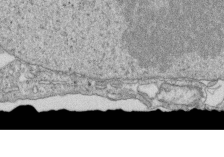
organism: Human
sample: HeLa cell HIV synapse